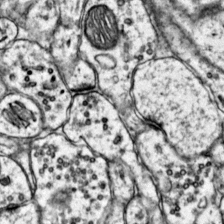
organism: Mouse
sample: Primary visual cortex